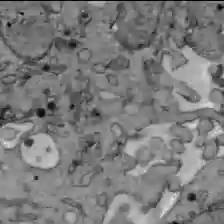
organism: C57BL Mouse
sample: Liver